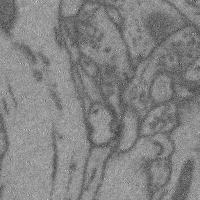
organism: Mouse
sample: Cerebral cortex